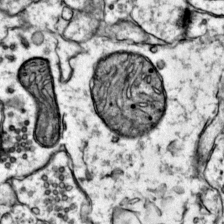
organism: Mouse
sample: Primary visual cortex